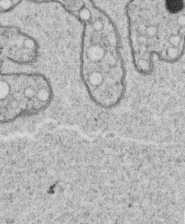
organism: C. elegans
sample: C. elegans oocyte; sperm cells